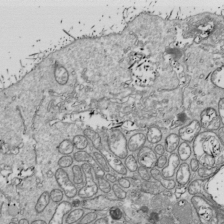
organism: Drosophila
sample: Cell division; meiosis; drosophila spermatocytes